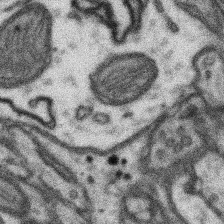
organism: Mouse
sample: Somatosensory cortex neuropil